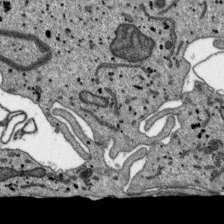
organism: Human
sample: Lung epithelial cells, uninfected (mock) control